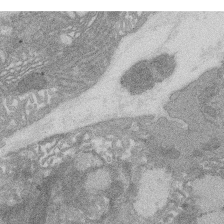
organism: Rat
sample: Salivary granule